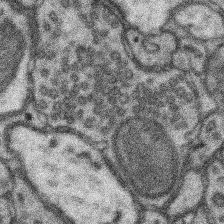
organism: Mouse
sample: Somatosensory cortex neuropil